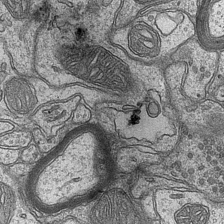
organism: Mouse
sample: CA1 Hippocampus